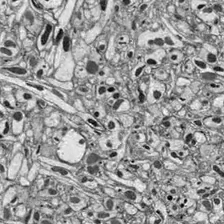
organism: Drosophila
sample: Optic lobe